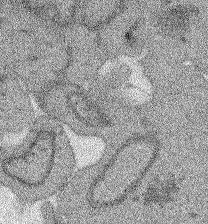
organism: Human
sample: HeLa cells